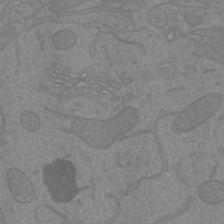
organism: Mouse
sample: Cortical neurons